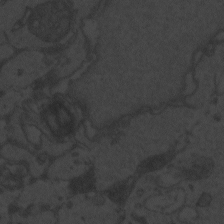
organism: Zebrafish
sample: Macrophage infected with Toxoplasma gondii